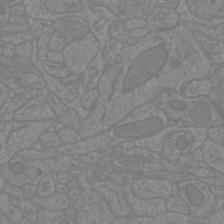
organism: Mouse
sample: Cortical neurons